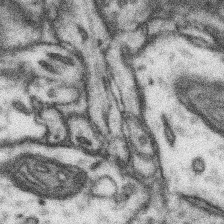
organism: Mouse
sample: Somatosensory cortex neuropil